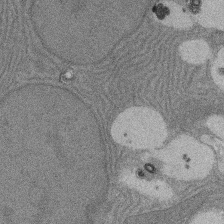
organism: Rat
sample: Salivary granule